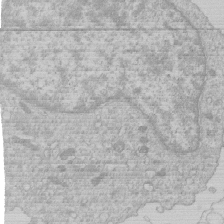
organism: Human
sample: Macrophage cells